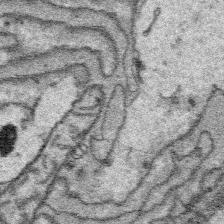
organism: Platynereis dumerilii